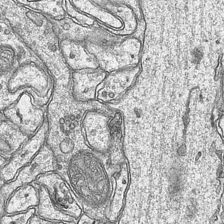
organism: Mouse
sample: CA1 Hippocampus